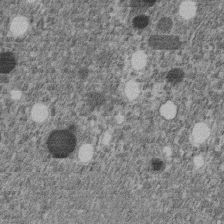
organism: C. elegans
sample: C. elegans embryo early stage